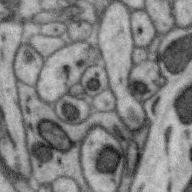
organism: Zebra finch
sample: Brain